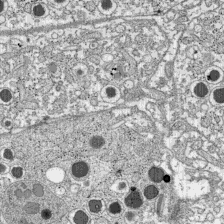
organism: C57BL Mouse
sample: Pancreatic islet